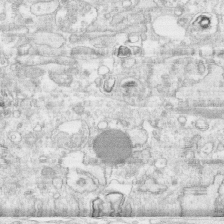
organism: Human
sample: CRL-1474